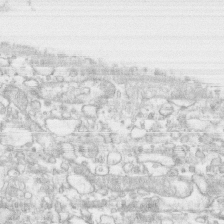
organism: Human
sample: CRL-1474